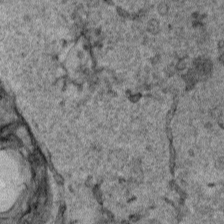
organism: Human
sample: Mitochondria in HCT116 cells